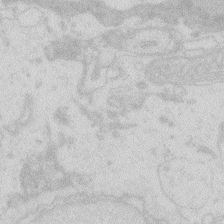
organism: Zebrafish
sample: Macrophage